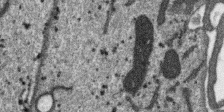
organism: Human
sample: Lung epithelial cells infected with SARS-CoV-2